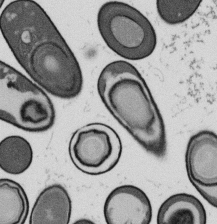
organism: B. subtilis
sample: Bacterial spore